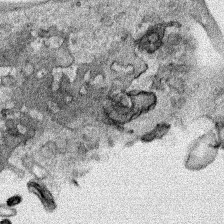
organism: Human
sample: Mitochondria in HCT116 cells